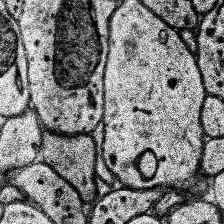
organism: Human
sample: Temporal Lobe